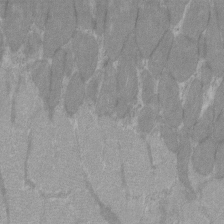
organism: C57BL Mouse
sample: Tibialis anterior muscle cell